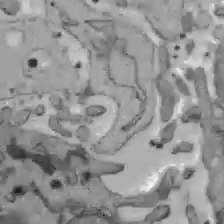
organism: C57BL Mouse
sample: Liver